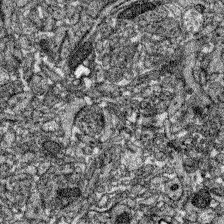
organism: Zebrafish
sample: Larval olfactory bulb